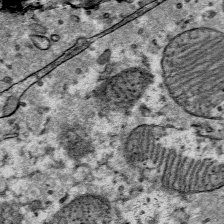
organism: Mouse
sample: Mouse Salivary gland